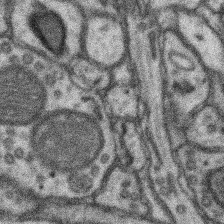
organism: Mouse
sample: Somatosensory cortex neuropil